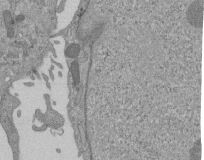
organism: Mouse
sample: ED-1 cell nuclei; centrioles